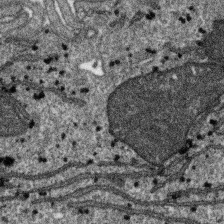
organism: Human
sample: Lung epithelial cells infected with SARS-CoV-2